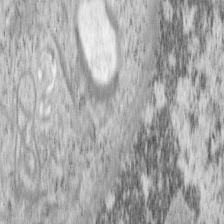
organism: Human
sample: HeLa cells